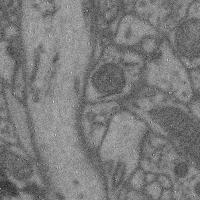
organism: Mouse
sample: Cerebral cortex